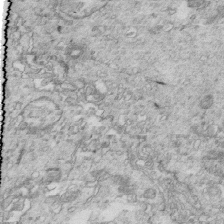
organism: Mouse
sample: Multiciliated cells